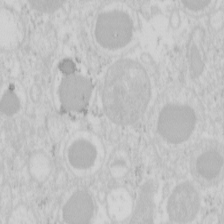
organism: Mouse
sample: Pancreas